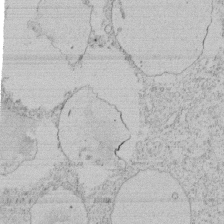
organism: Tetrahymena